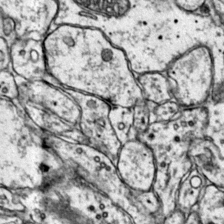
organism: Mouse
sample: Primary visual cortex